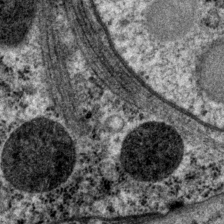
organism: P. pacificus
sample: Pharynx